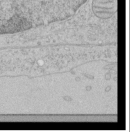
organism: Human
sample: Mitochondria in HCT116 cells